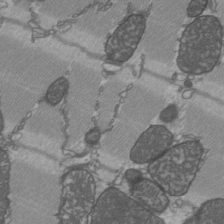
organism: C57BL Mouse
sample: Heart